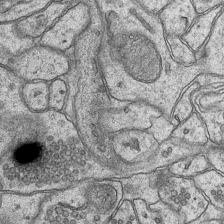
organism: Mouse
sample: CA1 Hippocampus